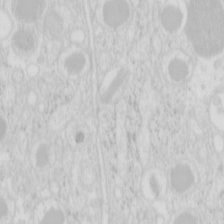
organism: Mouse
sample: Pancreas